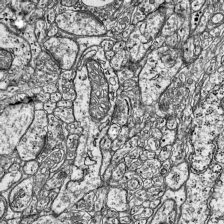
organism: Mouse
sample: Visual Cortex